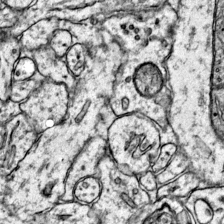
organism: Mouse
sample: Primary visual cortex